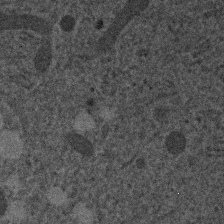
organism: Human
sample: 1205lu cells